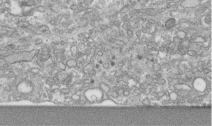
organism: Human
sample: Centriole in RPE cells